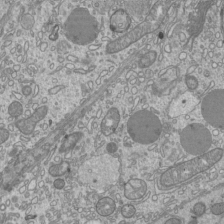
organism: Mouse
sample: Cilia; mouse epididymis